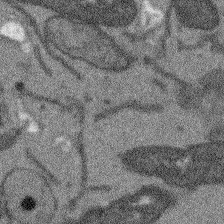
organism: Arabidopsis thaliana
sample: Root tip